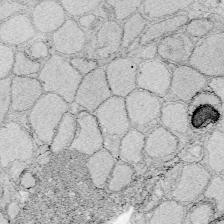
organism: Zebrafish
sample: Whole-Brain